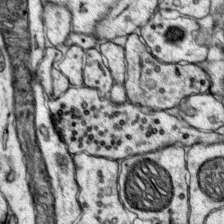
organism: Mouse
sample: Primary visual cortex